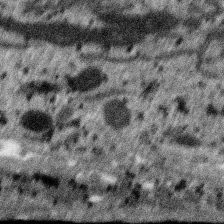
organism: Human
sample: Lung epithelial cells infected with SARS-CoV-2